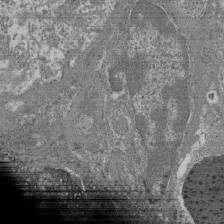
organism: Mouse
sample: Glomerulus